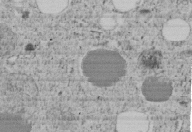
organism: C. elegans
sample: C. elegans embryo early stage